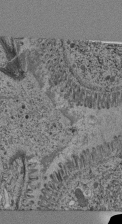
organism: C. elegans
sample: C. elegans pharynx